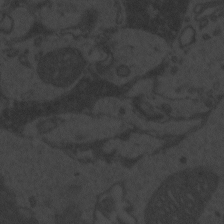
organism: Zebrafish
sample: Macrophage infected with Toxoplasma gondii